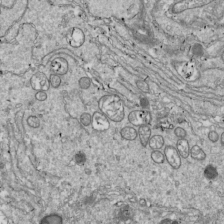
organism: Drosophila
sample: Cell division; meiosis; drosophila spermatocytes